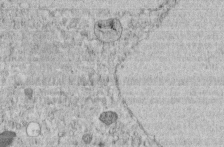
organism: C. elegans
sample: C. elegans embryo early stage